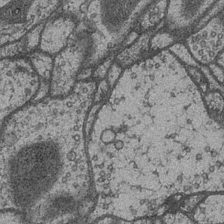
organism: Drosophila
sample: Optic medulla